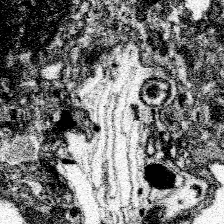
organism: Spongilla lacustris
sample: Neuroid cell